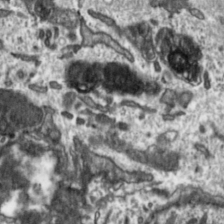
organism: Toxoplasma gondii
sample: Parasites in a vacuole inside a host cell